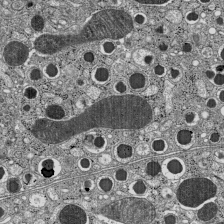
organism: C57BL Mouse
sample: Pancreatic islet